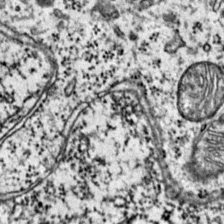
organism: Mouse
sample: Primary visual cortex